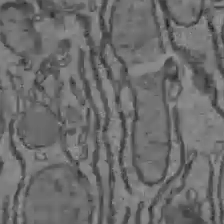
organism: C57BL Mouse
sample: Liver